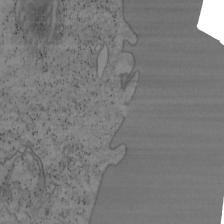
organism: Mouse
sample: OT-I killer T cells with ID8 ovarian cancer cells